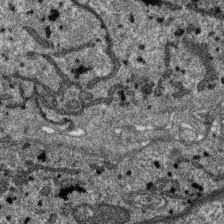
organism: Human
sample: Lung epithelial cells infected with SARS-CoV-2